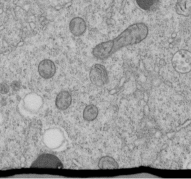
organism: C. elegans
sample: C. elegans embryo early stage